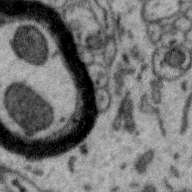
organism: Zebra finch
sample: Brain